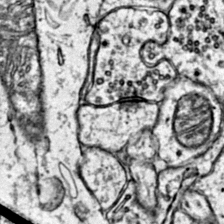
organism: Mouse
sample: Primary visual cortex